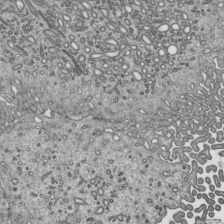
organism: Mouse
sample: Mouse epididymis efferent ductule cilia